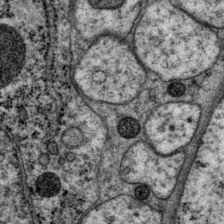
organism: P. pacificus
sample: Pharynx